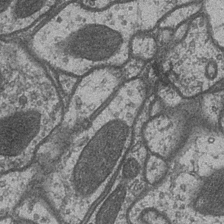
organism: Drosophila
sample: Optic medulla